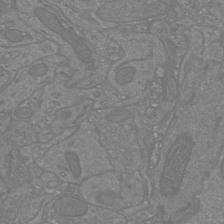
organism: Mouse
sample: Cortical neurons